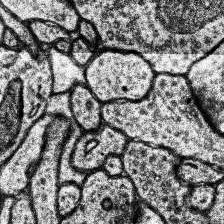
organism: Human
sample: Temporal Lobe